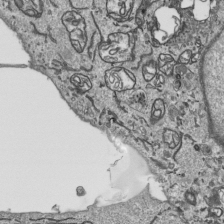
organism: Human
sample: Mitochondria in HCT116 cells